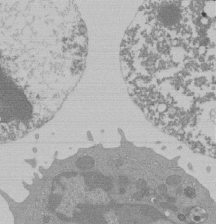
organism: Mouse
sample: Activated Pmel transgenic CD8+ T Cells